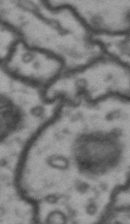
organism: Drosophila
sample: Brain